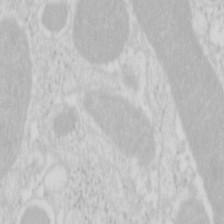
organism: Mouse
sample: Pancreas